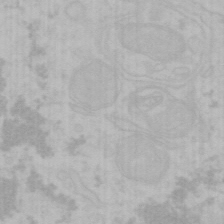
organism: Mouse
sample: Choroid plexus